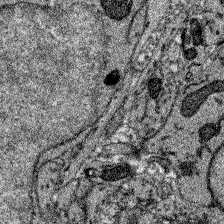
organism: Zebrafish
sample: Larval olfactory bulb